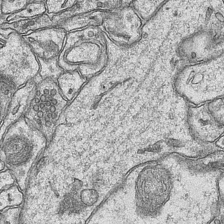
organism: Mouse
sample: CA1 Hippocampus